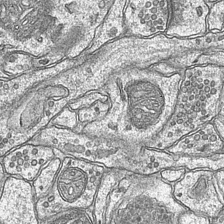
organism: Mouse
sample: CA1 Hippocampus